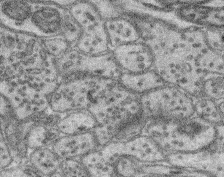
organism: Mouse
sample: Retina